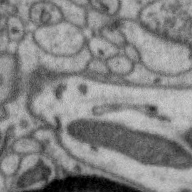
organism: Zebra finch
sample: Brain